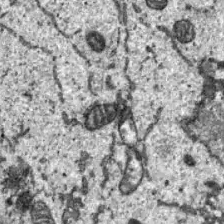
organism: Human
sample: HeLa cells